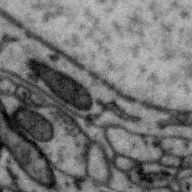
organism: Zebra finch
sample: Brain